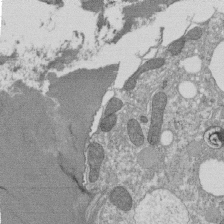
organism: Tetrahymena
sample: Cilia in tetrahymena